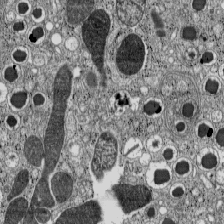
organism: C57BL Mouse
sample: Pancreatic islet